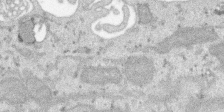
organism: Human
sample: Lung epithelial cells infected with SARS-CoV-2